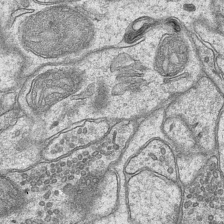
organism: Mouse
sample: CA1 Hippocampus